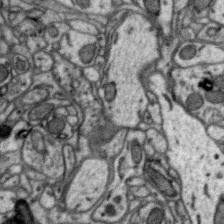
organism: Zebra finch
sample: Brain